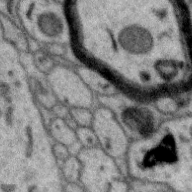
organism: Zebra finch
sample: Brain